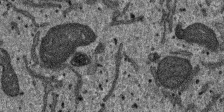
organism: Human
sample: Lung epithelial cells infected with SARS-CoV-2